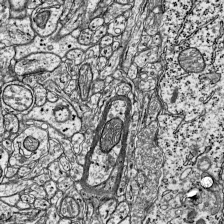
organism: Mouse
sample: Visual Cortex